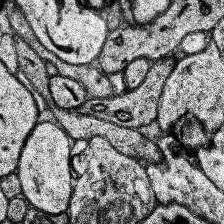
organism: Human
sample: Temporal Lobe